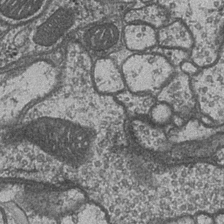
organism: Drosophila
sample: Optic medulla